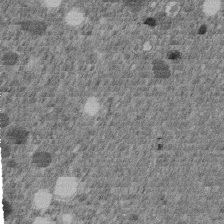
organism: C. elegans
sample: C. elegans embryo early stage